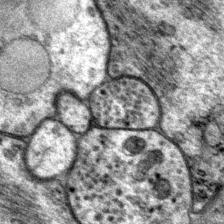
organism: P. pacificus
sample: Pharynx